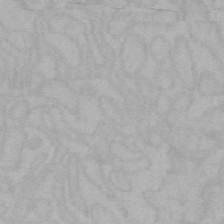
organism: Mouse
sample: Choroid plexus